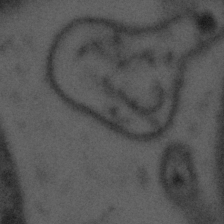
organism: Tuwongella immobilis